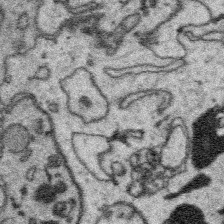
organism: Platynereis dumerilii